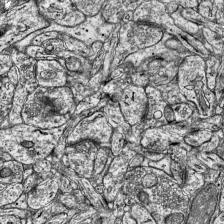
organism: Mouse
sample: Visual Cortex